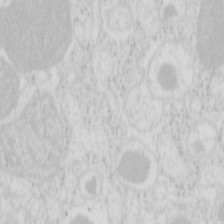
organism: Mouse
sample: Pancreas